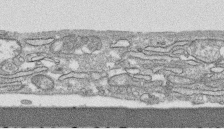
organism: Human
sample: CRL-1474